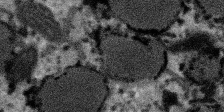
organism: Human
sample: Lung epithelial cells infected with SARS-CoV-2